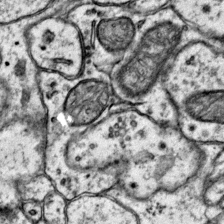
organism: Mouse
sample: Primary visual cortex